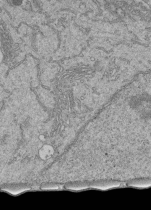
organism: Human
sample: Retinal organoid Rod and Cone cells